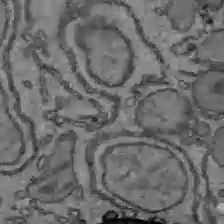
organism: C57BL Mouse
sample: Liver